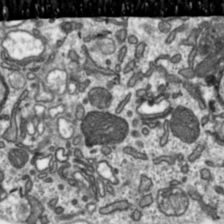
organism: Toxoplasma gondii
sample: Parasites in a vacuole inside a host cell